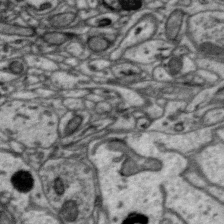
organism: Zebra finch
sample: Brain